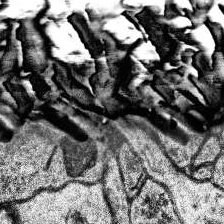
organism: Human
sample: Temporal Lobe